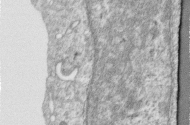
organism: Human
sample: Centriole in RPE cells